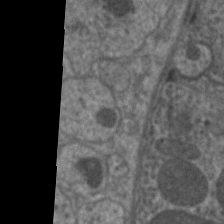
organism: C. elegans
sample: Pharynx